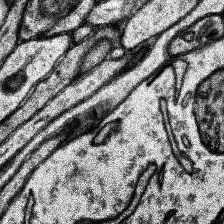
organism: Human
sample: Temporal Lobe